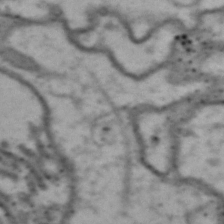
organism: Drosophila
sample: Brain